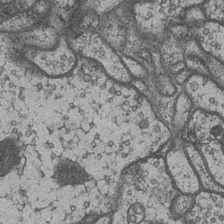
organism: Drosophila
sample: Optic medulla